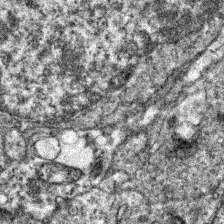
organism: Zebrafish